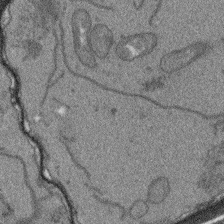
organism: Arabidopsis thaliana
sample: Root tip